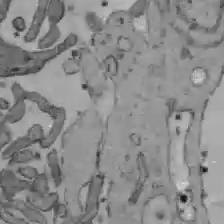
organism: C57BL Mouse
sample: Liver